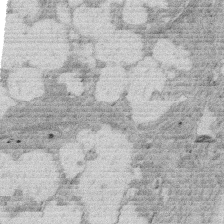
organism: Rat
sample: Salivary granule